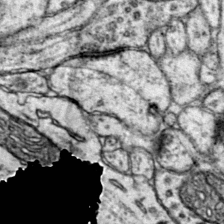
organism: Mouse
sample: Primary visual cortex